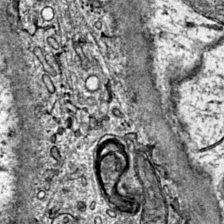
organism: Mouse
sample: Primary visual cortex